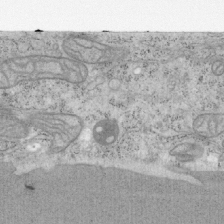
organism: Human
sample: HeLa cells